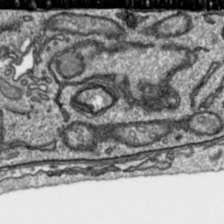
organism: Toxoplasma gondii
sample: Parasites in a vacuole inside a host cell